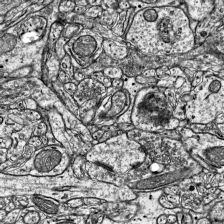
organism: Mouse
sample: Visual Cortex